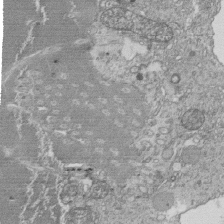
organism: Tetrahymena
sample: Cilia in tetrahymena